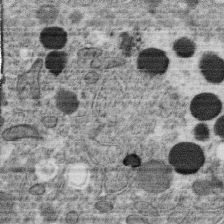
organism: C. elegans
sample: C. elegans oocyte; sperm cells